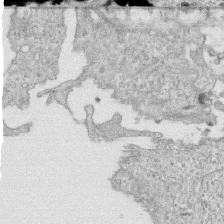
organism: Human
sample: HeLa cell HIV synapse